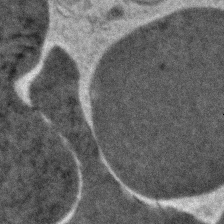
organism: Zebrafish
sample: Zebrafish embryo